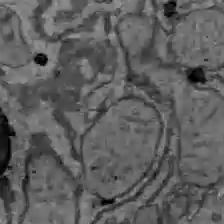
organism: C57BL Mouse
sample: Liver